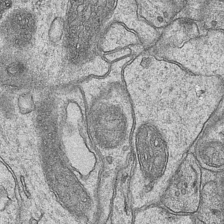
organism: Mouse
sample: CA1 Hippocampus